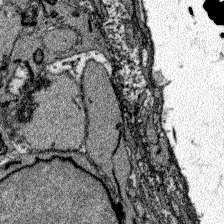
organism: Zebrafish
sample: Larval olfactory bulb